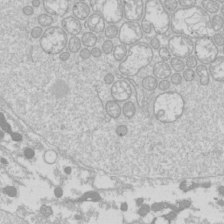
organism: Drosophila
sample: Cell division; meiosis; drosophila spermatocytes